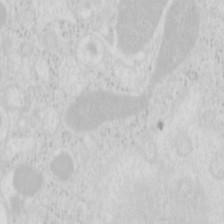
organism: Mouse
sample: Pancreas